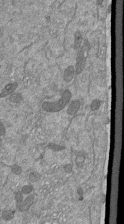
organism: Mouse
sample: ED-1 cell nuclei; centrioles